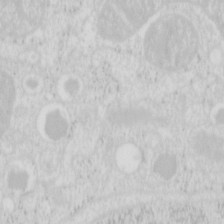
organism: Mouse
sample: Pancreas